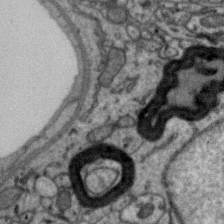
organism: Zebra finch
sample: Brain